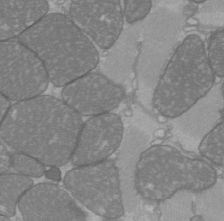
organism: C57BL Mouse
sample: Heart